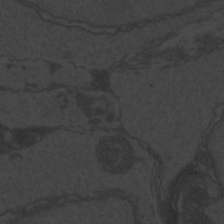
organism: Zebrafish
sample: Macrophage infected with Toxoplasma gondii